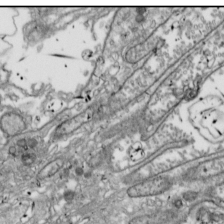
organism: Drosophila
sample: Cell division; meiosis; drosophila spermatocytes